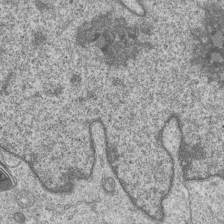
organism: Human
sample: MDA-MB-231 cells